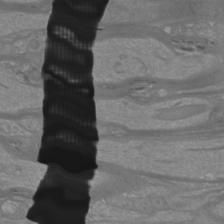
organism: Mouse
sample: Cortical neurons